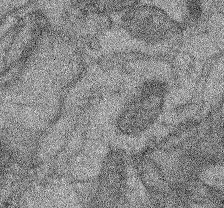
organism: Human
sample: HeLa cells